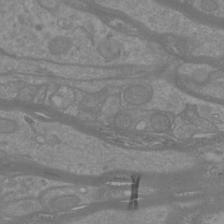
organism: Mouse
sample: Cortical neurons